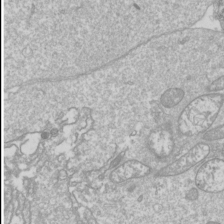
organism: Drosophila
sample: Cell division; meiosis; drosophila spermatocytes